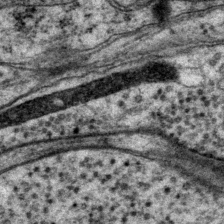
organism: P. pacificus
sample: Pharynx